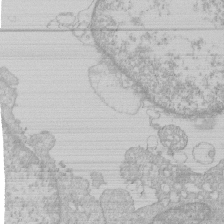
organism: Human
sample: Macrophage cells